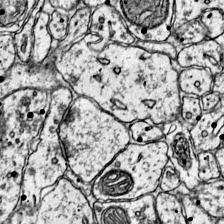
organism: Mouse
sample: Primary visual cortex